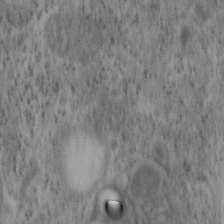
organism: Mouse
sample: OT-I killer T cells with ID8 ovarian cancer cells